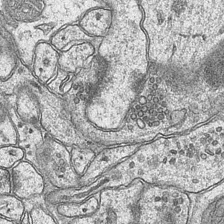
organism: Mouse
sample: CA1 Hippocampus